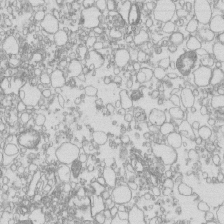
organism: Mouse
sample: Macrophages